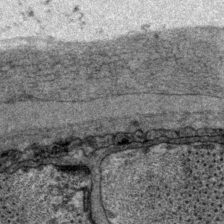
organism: P. pacificus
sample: Pharynx